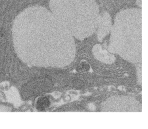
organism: Rat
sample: Salivary granule